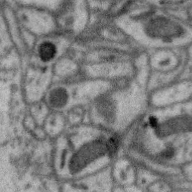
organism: Zebra finch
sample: Brain